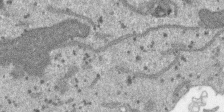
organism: Human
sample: Lung epithelial cells infected with SARS-CoV-2